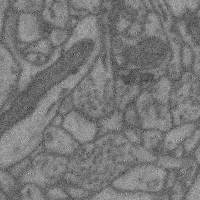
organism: Mouse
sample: Cerebral cortex